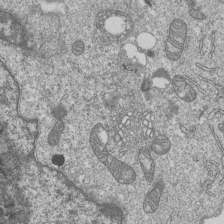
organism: Human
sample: MDA-MB-231 cells